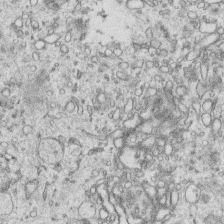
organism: Human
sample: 1205lu cells